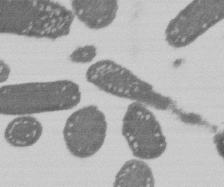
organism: E. coli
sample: Bacterial nucleoid